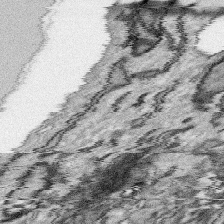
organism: Human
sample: HeLa cells